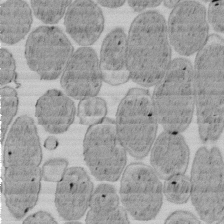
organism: E. coli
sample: Bacterial nucleoid